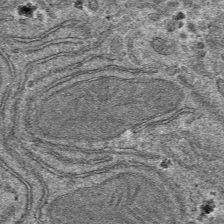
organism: Mouse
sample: Mouse hepatocytes